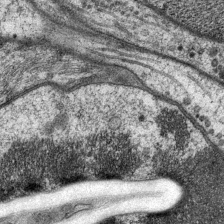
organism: P. pacificus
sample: Pharynx